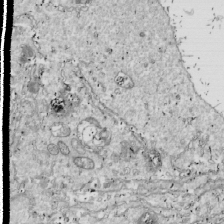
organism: Drosophila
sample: Cell division; meiosis; drosophila spermatocytes